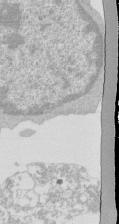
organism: Mouse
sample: Activated Pmel transgenic CD8+ T Cells